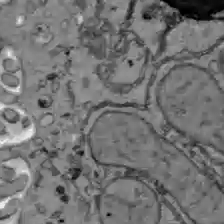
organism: C57BL Mouse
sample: Liver